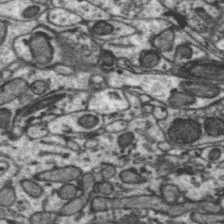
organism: Zebra finch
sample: Brain